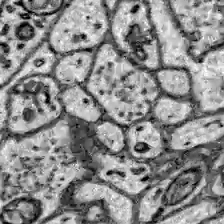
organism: Zebrafish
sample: Brain